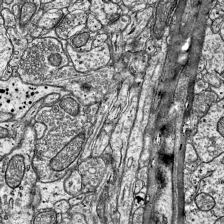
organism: Mouse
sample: Visual Cortex